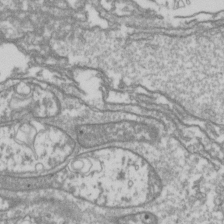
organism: Drosophila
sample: Cell division; meiosis; drosophila spermatocytes